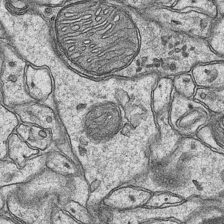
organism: Mouse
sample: CA1 Hippocampus